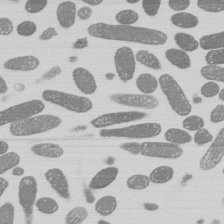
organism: E. coli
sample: Bacterial nucleoid